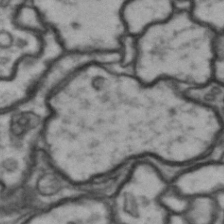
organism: Drosophila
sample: Brain